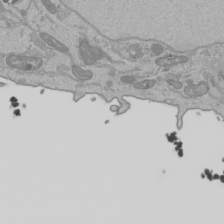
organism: Human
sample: Mitochondria in HCT116 cells